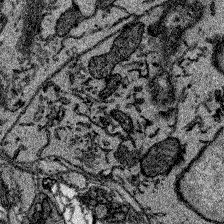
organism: Zebrafish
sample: Larval olfactory bulb